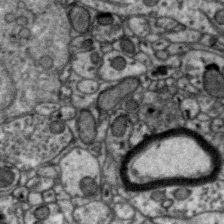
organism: Zebra finch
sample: Brain